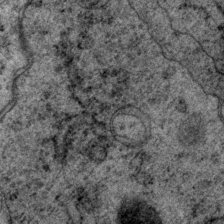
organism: P. pacificus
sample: Pharynx